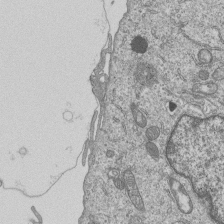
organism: Human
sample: MDA-MB-231 cells